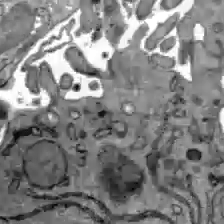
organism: C57BL Mouse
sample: Liver